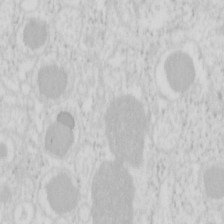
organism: Mouse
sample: Pancreas